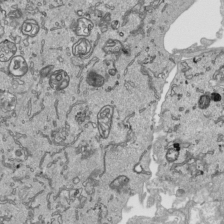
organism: Human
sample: Mitochondria in HCT116 cells